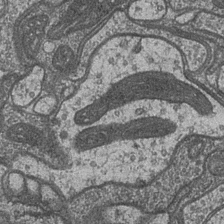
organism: Drosophila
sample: Optic medulla